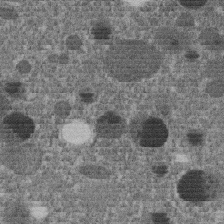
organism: C. elegans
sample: C. elegans embryo early stage